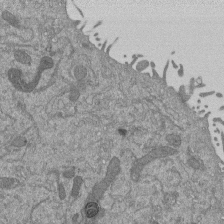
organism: Mouse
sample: ED-1 cell nuclei; centrioles